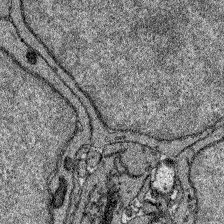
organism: Zebrafish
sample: Larval olfactory bulb